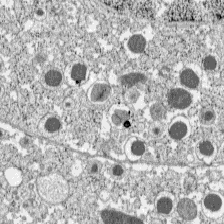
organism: C57BL Mouse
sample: Pancreatic islet